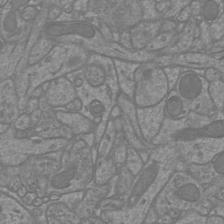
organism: Mouse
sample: Cortical neurons